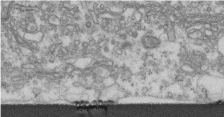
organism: Human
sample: Centriole in fibroblast cells